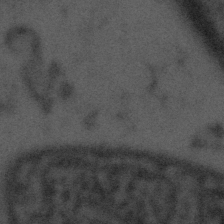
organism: Tuwongella immobilis